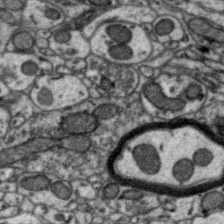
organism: Zebra finch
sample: Brain